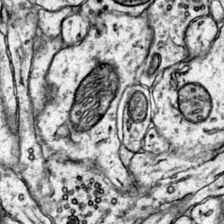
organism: Mouse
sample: Primary visual cortex